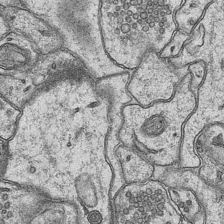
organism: Mouse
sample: CA1 Hippocampus